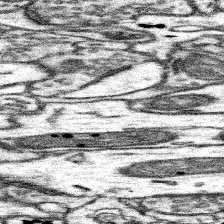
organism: Mouse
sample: Somatosensory cortex neuropil